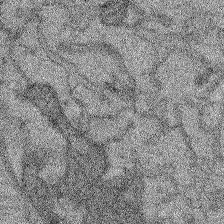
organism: Human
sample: HeLa cells